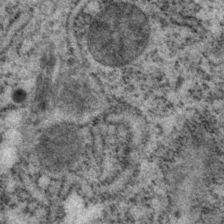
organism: P. pacificus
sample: Pharynx